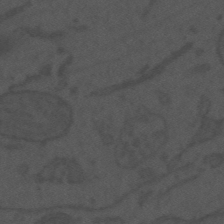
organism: Mouse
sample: Suprachiasmatic nucleus